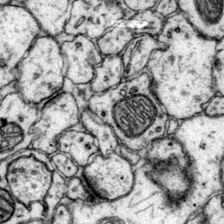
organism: Mouse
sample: Primary visual cortex